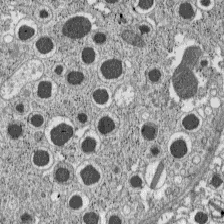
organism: C57BL Mouse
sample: Pancreatic islet